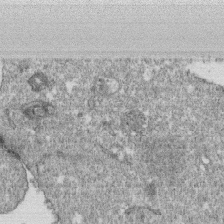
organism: African green monkey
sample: Vero E6 cells infected with SARS-CoV-2